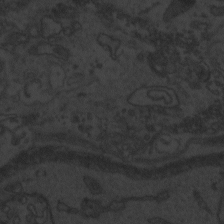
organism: Zebrafish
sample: Macrophage infected with Toxoplasma gondii